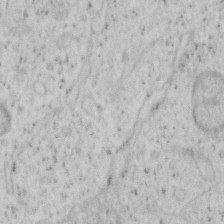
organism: Human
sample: HeLa cells